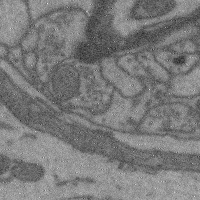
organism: Mouse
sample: Cerebral cortex